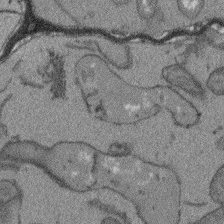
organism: Arabidopsis thaliana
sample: Root tip